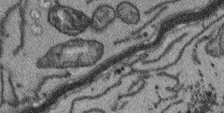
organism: Arabidopsis thaliana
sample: Root tip